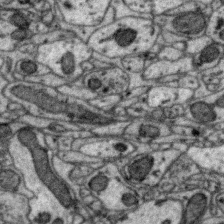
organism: Zebra finch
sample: Brain